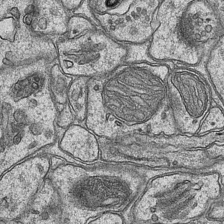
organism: Mouse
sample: CA1 Hippocampus